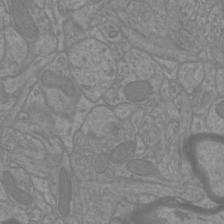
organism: Mouse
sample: Cortical neurons